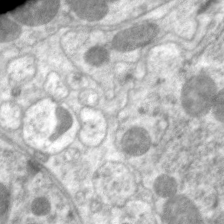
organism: C. elegans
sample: Pharynx